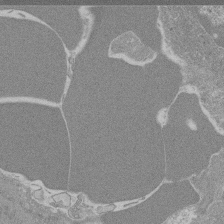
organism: Mouse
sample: Glomerulus